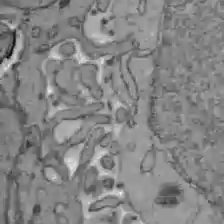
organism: C57BL Mouse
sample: Liver